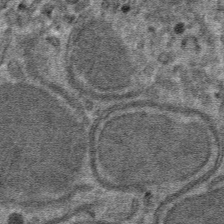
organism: Mouse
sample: Mouse hepatocytes